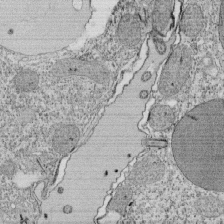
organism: Tetrahymena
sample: Cilia in tetrahymena